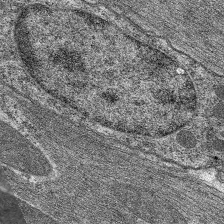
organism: C. elegans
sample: Pharynx